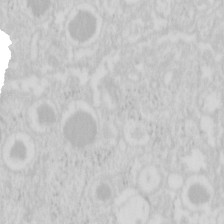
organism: Mouse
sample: Pancreas